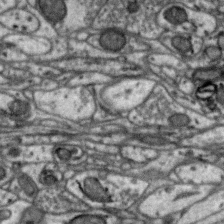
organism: Zebra finch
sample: Brain